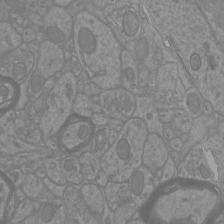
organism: Mouse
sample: Cortical neurons